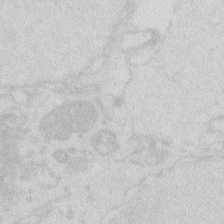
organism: Zebrafish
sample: Macrophage